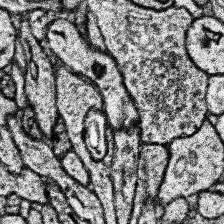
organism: Human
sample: Temporal Lobe